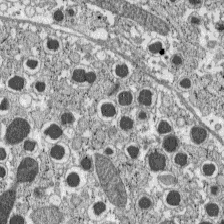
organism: C57BL Mouse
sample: Pancreatic islet